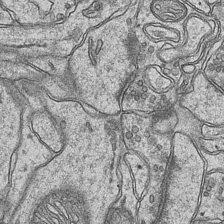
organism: Mouse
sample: CA1 Hippocampus